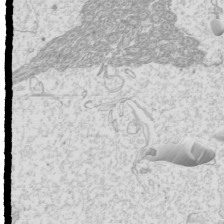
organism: Mouse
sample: Cilia; mouse epididymis